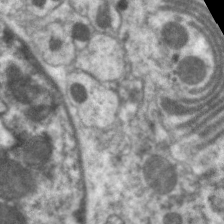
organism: C. elegans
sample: Pharynx